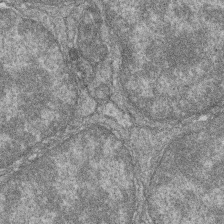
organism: Zebrafish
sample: Cilia; retinal pigment epithelium